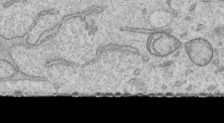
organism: Human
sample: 1205lu cells